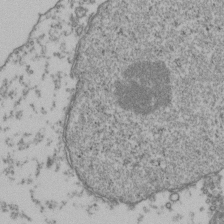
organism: Human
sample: Activated Jurkat CD4+ T cells